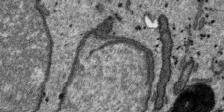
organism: Human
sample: Lung epithelial cells, uninfected (mock) control